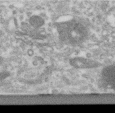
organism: Human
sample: Centriole in RPE cells